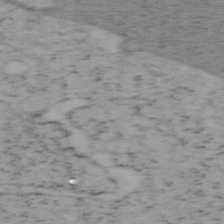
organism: Mouse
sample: OT-I killer T cells with ID8 ovarian cancer cells